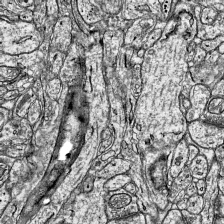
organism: Mouse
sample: Visual Cortex